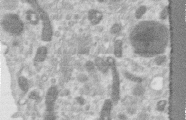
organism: Human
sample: Centriole in RPE cells